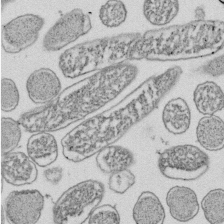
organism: E. coli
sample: Bacterial nucleoid